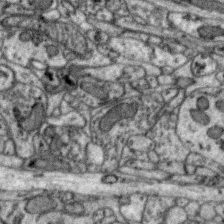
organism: Zebra finch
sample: Brain